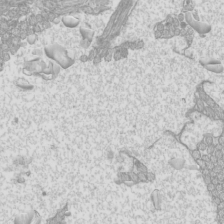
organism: Mouse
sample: Cilia; mouse epididymis